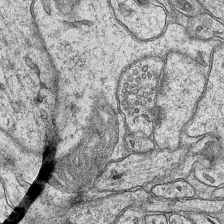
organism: Mouse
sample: CA1 Hippocampus